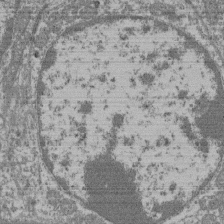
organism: Mouse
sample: Glomerulus